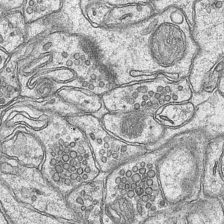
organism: Mouse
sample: CA1 Hippocampus